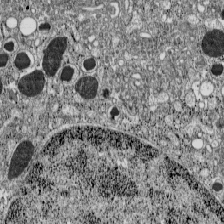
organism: C57BL Mouse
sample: Pancreatic islet